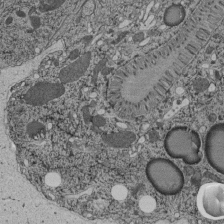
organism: C. elegans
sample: C. elegans pharynx